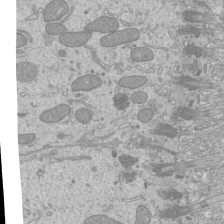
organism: Mouse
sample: Cilia; mouse epididymis